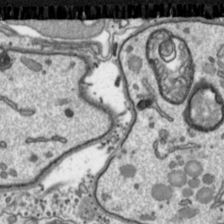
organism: Toxoplasma gondii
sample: Parasites in a vacuole inside a host cell